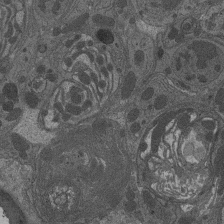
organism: Drosophila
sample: Antenna